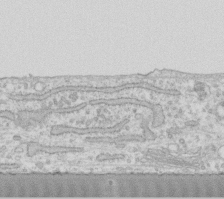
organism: Human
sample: Fibroblast cells